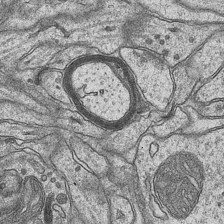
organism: Mouse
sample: CA1 Hippocampus